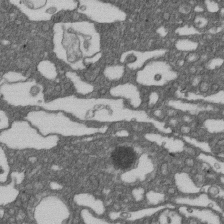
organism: Drosophila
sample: Nephrocyte